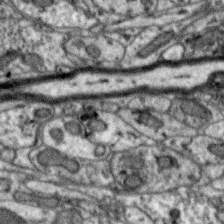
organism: Zebra finch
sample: Brain